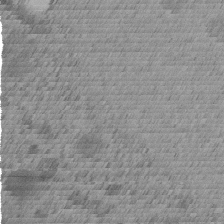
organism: C. elegans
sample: C. elegans embryo early stage